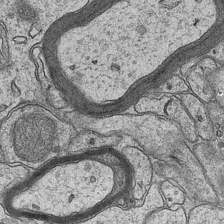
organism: Mouse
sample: CA1 Hippocampus